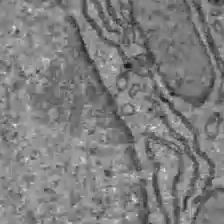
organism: C57BL Mouse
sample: Liver